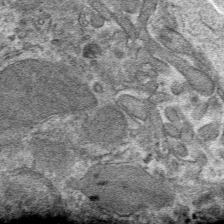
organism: Mouse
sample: Mouse hepatocytes